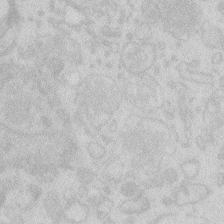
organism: Zebrafish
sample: Macrophage